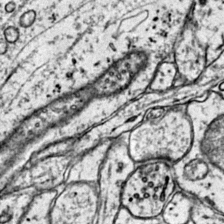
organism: Mouse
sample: Primary visual cortex